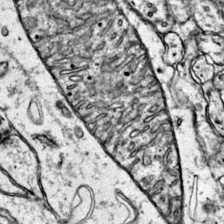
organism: Mouse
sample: Primary visual cortex